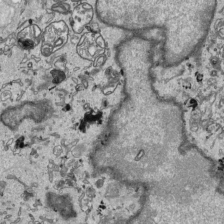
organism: Human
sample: Mitochondria in HCT116 cells